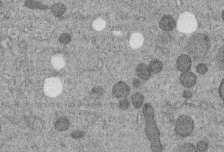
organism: C. elegans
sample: C. elegans embryo early stage